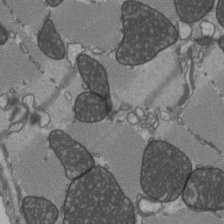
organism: C57BL Mouse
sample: Heart